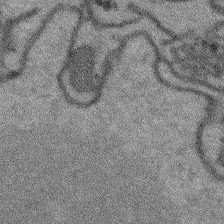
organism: Arabidopsis thaliana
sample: Root tip